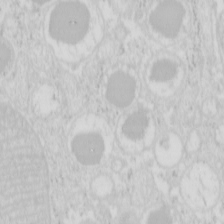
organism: Mouse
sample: Pancreas